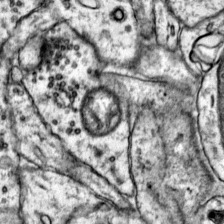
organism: Mouse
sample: Primary visual cortex